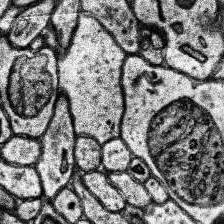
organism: Human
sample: Temporal Lobe